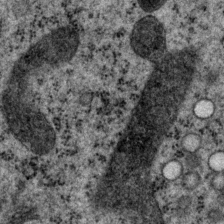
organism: P. pacificus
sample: Pharynx